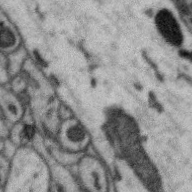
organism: Zebra finch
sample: Brain